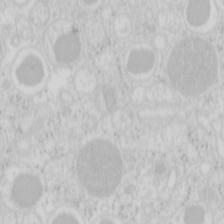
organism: Mouse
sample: Pancreas